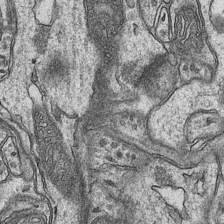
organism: Mouse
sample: CA1 Hippocampus